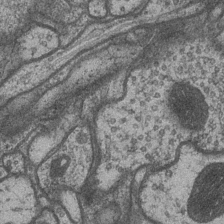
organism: Drosophila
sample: Optic medulla